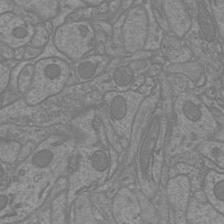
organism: Mouse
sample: Cortical neurons